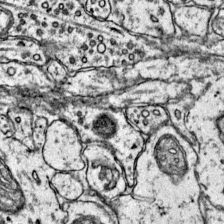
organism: Mouse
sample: Primary visual cortex